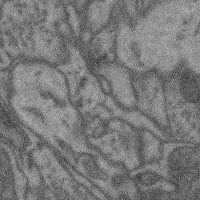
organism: Mouse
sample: Cerebral cortex